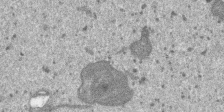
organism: Human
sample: Lung epithelial cells infected with SARS-CoV-2